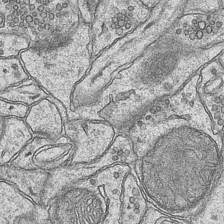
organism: Mouse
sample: CA1 Hippocampus